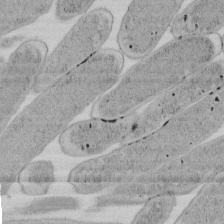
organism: E. coli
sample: Bacterial nucleoid